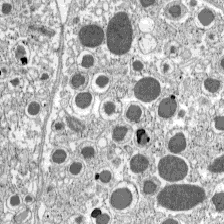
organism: C57BL Mouse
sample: Pancreatic islet